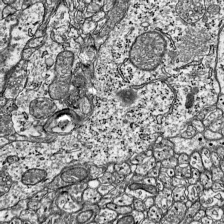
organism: Mouse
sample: Visual Cortex